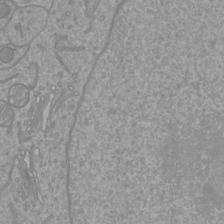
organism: Mouse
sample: Cortical neurons